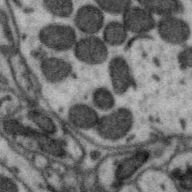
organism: Zebra finch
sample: Brain